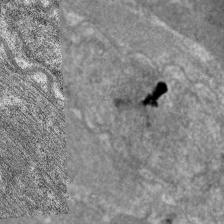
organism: C. elegans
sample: Pharynx